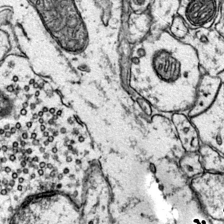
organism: Mouse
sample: Primary visual cortex